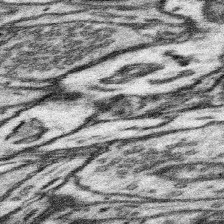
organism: Mouse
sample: Somatosensory cortex neuropil